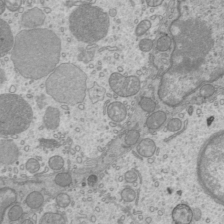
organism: Mouse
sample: Cilia; mouse epididymis